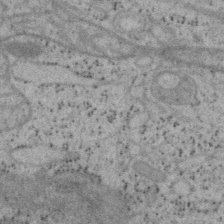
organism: Human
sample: HeLa cells